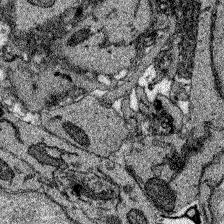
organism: Zebrafish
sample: Larval olfactory bulb